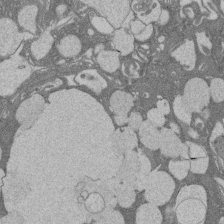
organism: Rat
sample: Salivary granule